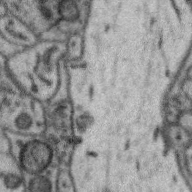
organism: Zebra finch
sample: Brain